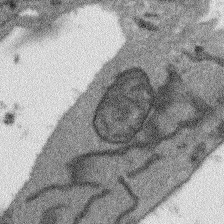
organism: Arabidopsis thaliana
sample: Root tip